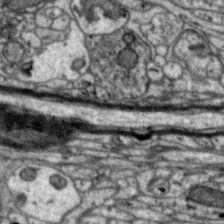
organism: Zebra finch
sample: Brain